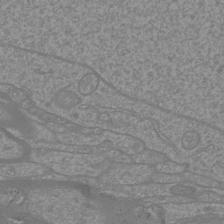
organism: Mouse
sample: Cortical neurons